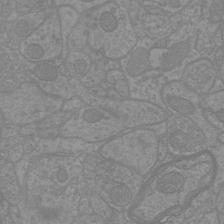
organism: Mouse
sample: Cortical neurons